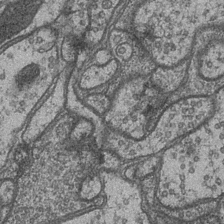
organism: Drosophila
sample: Optic medulla